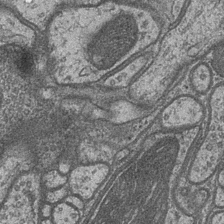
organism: Drosophila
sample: Optic medulla